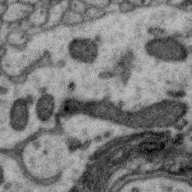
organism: Zebra finch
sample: Brain